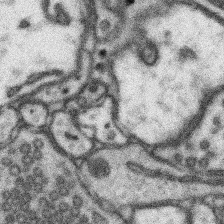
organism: Mouse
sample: Somatosensory cortex neuropil